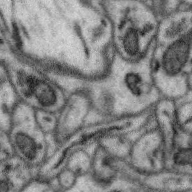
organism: Zebra finch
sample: Brain